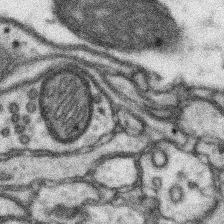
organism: Mouse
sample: Somatosensory cortex neuropil